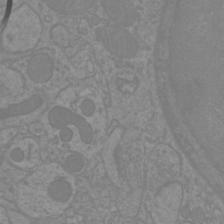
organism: Mouse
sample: Cortical neurons